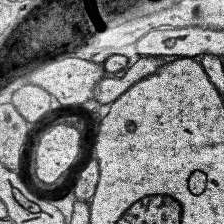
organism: Human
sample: Temporal Lobe